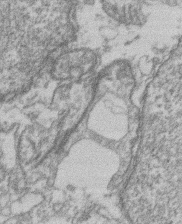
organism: Mouse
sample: T cell stromal cell synapse